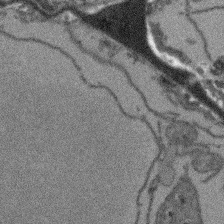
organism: Arabidopsis thaliana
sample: Root tip